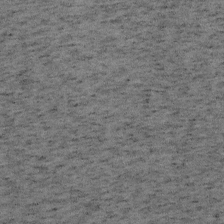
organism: Mouse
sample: OT-I killer T cells with ID8 ovarian cancer cells